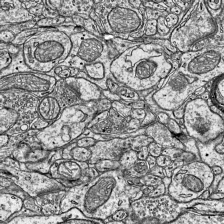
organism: Mouse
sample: Visual Cortex